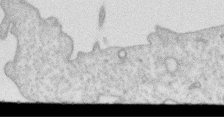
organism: Human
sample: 1205lu cells